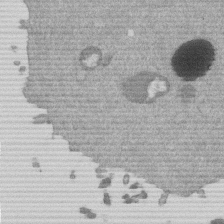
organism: Mouse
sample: Dividing mouse embryo 1 cell stage